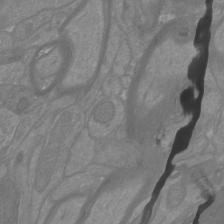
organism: Mouse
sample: Cortical neurons